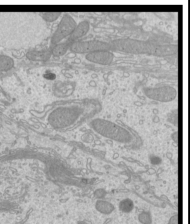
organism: Mouse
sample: Cilia; mouse epididymis